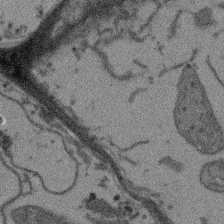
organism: Arabidopsis thaliana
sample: Root tip